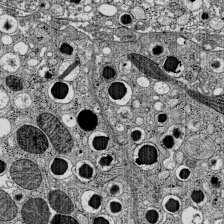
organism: C57BL Mouse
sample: Pancreatic islet